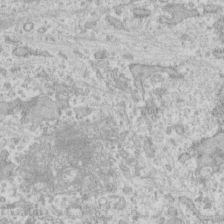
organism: Human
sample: Fibroblast cells